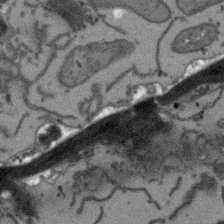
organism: Arabidopsis thaliana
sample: Root tip